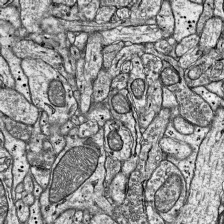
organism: Mouse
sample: Visual Cortex